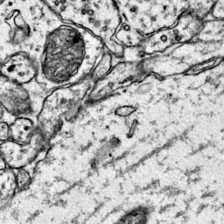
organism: Mouse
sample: Primary visual cortex